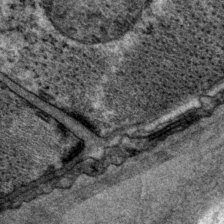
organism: P. pacificus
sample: Pharynx